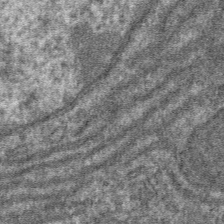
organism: Mouse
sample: Mouse hepatocytes